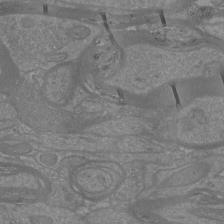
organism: Mouse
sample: Cortical neurons